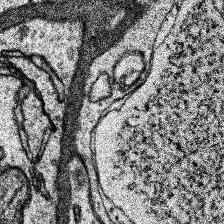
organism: Human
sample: Temporal Lobe